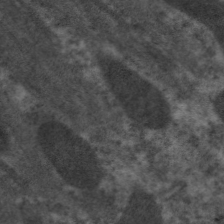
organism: C. elegans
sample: Pharynx